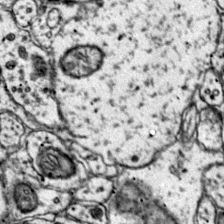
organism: Mouse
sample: Primary visual cortex